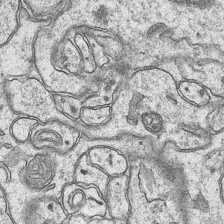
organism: Mouse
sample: CA1 Hippocampus